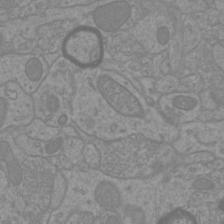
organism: Mouse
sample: Cortical neurons